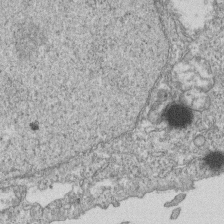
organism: Human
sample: HeLa cell HIV synapse